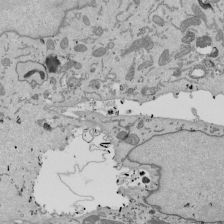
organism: Mouse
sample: ED-1 cell nuclei; centrioles